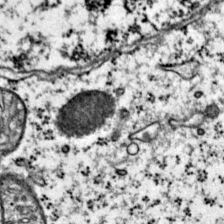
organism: Mouse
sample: Primary visual cortex